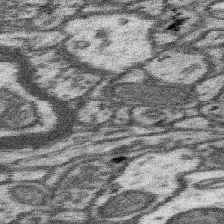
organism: Mouse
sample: Somatosensory cortex neuropil